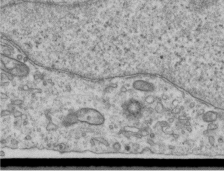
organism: Human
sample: Centriole in RPE cells